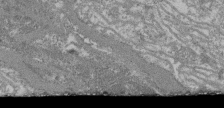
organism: Mouse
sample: Glomerulus